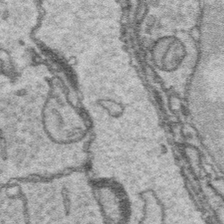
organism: Platynereis dumerilii